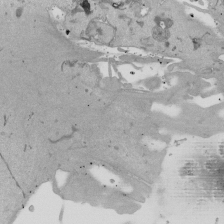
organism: Mouse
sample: ED-1 cell nuclei; centrioles